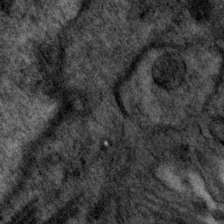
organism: P. pacificus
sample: Pharynx